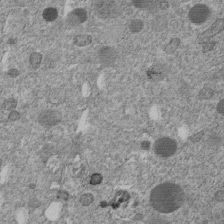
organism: C. elegans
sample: C. elegans embryo early stage